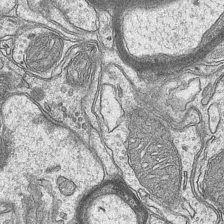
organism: Mouse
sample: CA1 Hippocampus